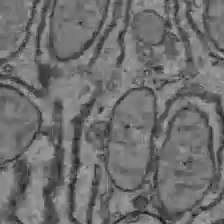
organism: C57BL Mouse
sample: Liver